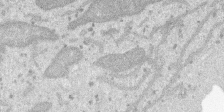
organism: Human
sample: Lung epithelial cells infected with SARS-CoV-2